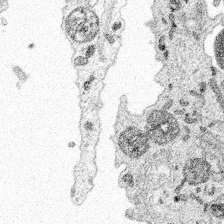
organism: Spongilla lacustris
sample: Multiple